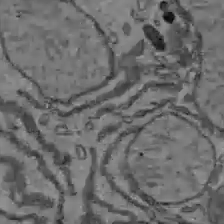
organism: C57BL Mouse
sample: Liver